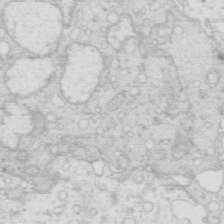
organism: Mouse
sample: Multiciliated cells